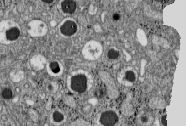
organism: C57BL Mouse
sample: Pancreatic islet